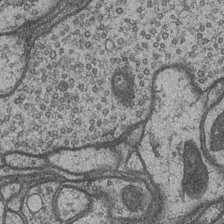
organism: Drosophila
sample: Optic medulla